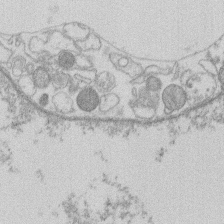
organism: Human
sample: Macrophage cells